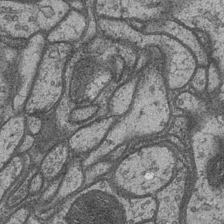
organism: Drosophila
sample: Optic medulla